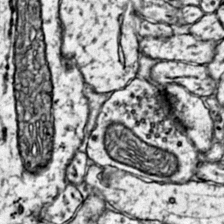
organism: Mouse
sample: Primary visual cortex